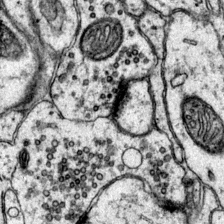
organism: Mouse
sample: Primary visual cortex